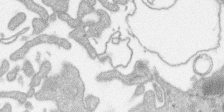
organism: Human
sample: Lung epithelial cells infected with SARS-CoV-2